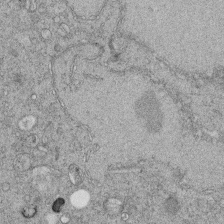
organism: C. elegans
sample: C. elegans embryo early stage